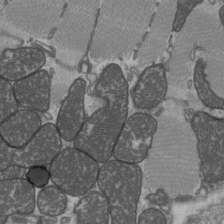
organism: C57BL Mouse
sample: Heart